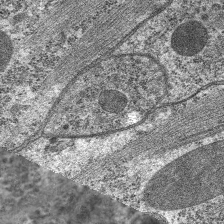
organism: C. elegans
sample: Pharynx